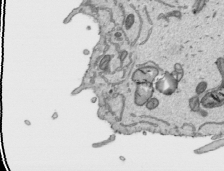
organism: Human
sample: Mitochondria in HCT116 cells